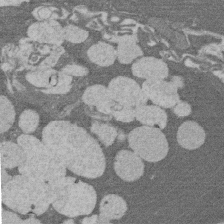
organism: Rat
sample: Salivary granule